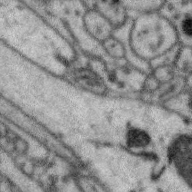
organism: Zebra finch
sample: Brain